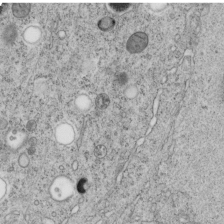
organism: C. elegans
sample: C. elegans embryo early stage